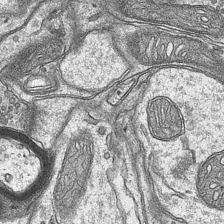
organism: Mouse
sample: CA1 Hippocampus